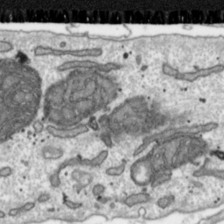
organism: Toxoplasma gondii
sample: Parasites in a vacuole inside a host cell